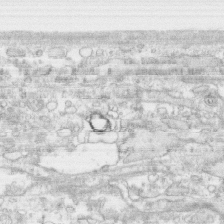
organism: Human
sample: CRL-1474